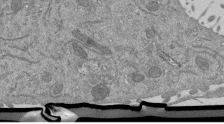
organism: Mouse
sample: ED-1 cell nuclei; centrioles